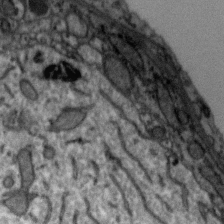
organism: Zebra finch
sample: Brain